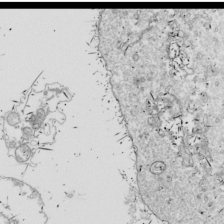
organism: Drosophila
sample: Cell division; meiosis; drosophila spermatocytes